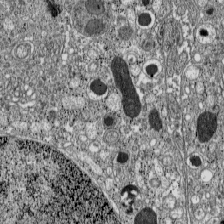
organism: C57BL Mouse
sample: Pancreatic islet